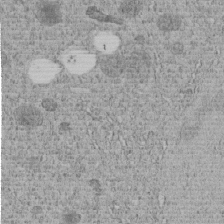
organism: C. elegans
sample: C. elegans embryo early stage